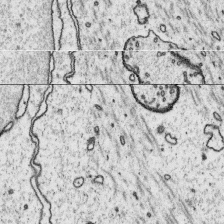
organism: Platynereis dumerilii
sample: Parapodia